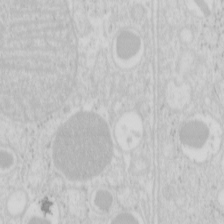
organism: Mouse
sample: Pancreas